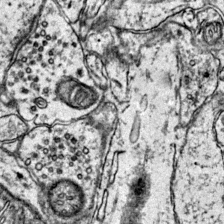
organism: Mouse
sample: Primary visual cortex